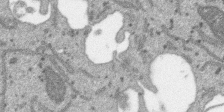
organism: Human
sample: Lung epithelial cells infected with SARS-CoV-2